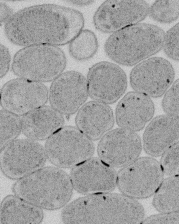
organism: E. coli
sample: Bacterial nucleoid